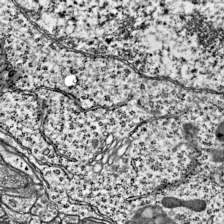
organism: Mouse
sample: Visual Cortex